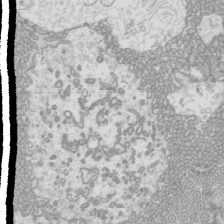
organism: Mouse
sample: Cilia; mouse epididymis